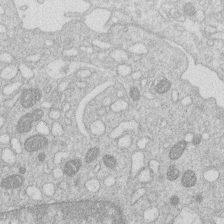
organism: Human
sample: Macrophage cells